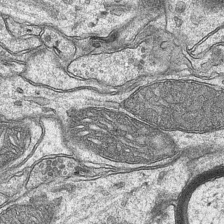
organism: Mouse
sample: CA1 Hippocampus